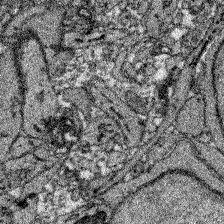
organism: Zebrafish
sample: Larval olfactory bulb